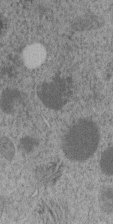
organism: C. elegans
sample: C. elegans embryo early stage